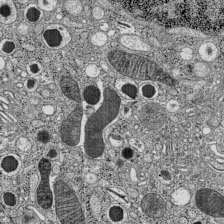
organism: C57BL Mouse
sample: Pancreatic islet